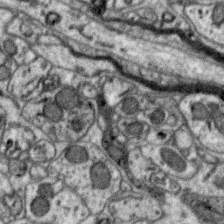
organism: Zebra finch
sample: Brain